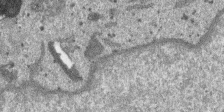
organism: Human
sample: Lung epithelial cells infected with SARS-CoV-2